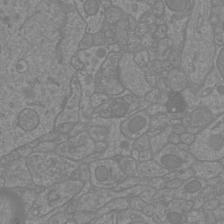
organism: Mouse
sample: Cortical neurons